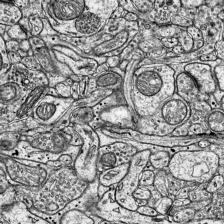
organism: Mouse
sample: Visual Cortex